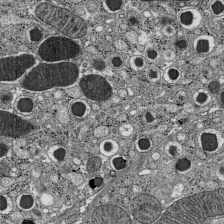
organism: C57BL Mouse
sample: Pancreatic islet